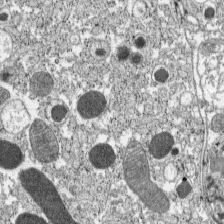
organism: C57BL Mouse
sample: Pancreatic islet